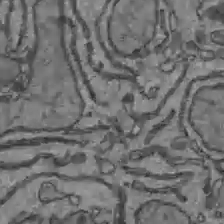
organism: C57BL Mouse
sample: Liver